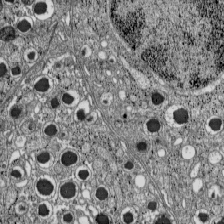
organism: C57BL Mouse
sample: Pancreatic islet